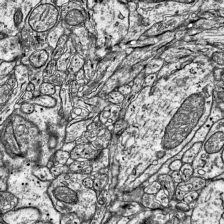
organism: Mouse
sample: Visual Cortex